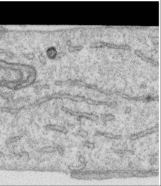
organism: Human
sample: Centriole in RPE cells